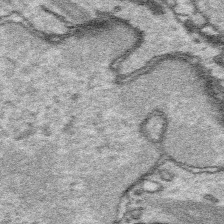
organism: Platynereis dumerilii